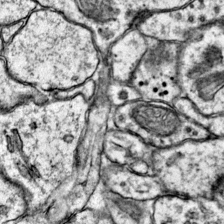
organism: Mouse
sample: Primary visual cortex